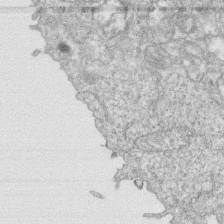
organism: Human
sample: HeLa cell HIV synapse